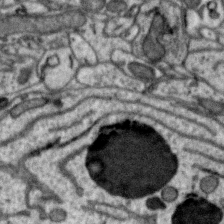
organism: Zebra finch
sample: Brain